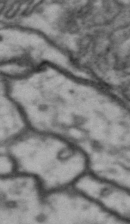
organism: Drosophila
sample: Brain